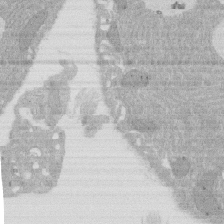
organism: Rat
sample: Salivary granule